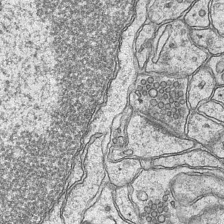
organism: Mouse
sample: CA1 Hippocampus